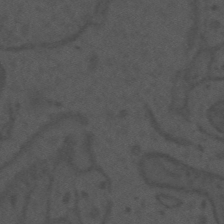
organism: Mouse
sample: Suprachiasmatic nucleus